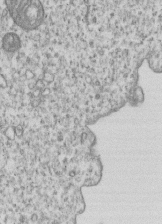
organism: Human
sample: MDA-MB-231 cells